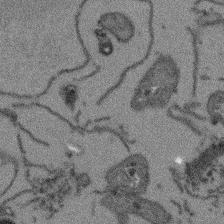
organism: Arabidopsis thaliana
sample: Root tip